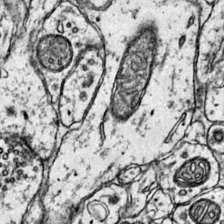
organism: Mouse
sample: Primary visual cortex